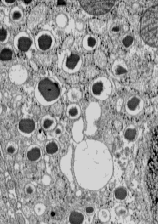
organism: C57BL Mouse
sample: Pancreatic islet